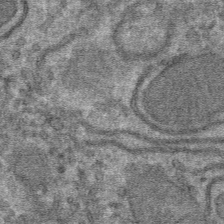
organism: Mouse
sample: Mouse hepatocytes